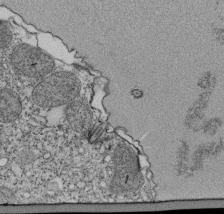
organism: Tetrahymena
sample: Cilia in tetrahymena